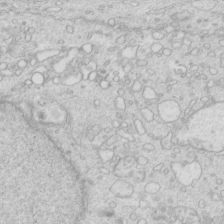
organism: Mouse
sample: Multiciliated cells